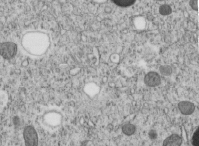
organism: C. elegans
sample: C. elegans embryo early stage